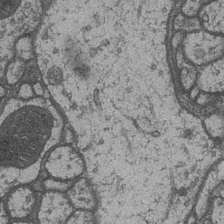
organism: Drosophila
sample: Optic medulla